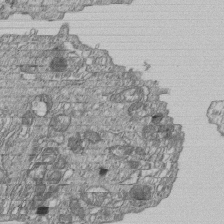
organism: Human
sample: MDA-MB-231 cells